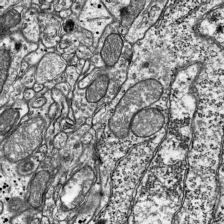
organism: Mouse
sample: Visual Cortex